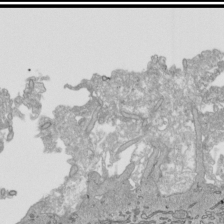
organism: Human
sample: Mitochondria in HCT116 cells